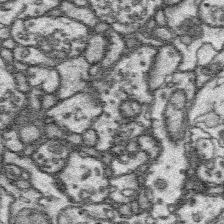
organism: Platynereis dumerilii